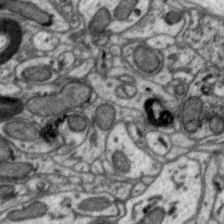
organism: Zebra finch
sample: Brain